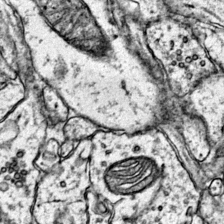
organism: Mouse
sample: Primary visual cortex